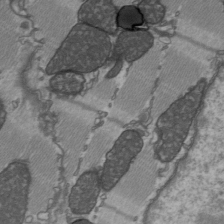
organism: C57BL Mouse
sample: Heart